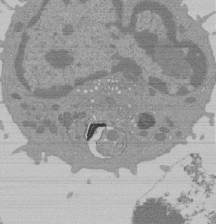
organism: Mouse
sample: Activated Pmel transgenic CD8+ T Cells